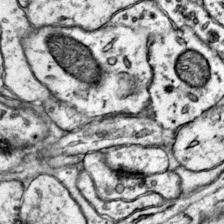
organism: Mouse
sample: Primary visual cortex